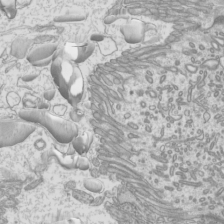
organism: Mouse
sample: Cilia; mouse epididymis